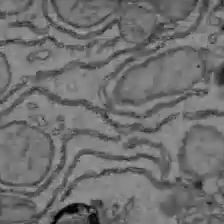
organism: C57BL Mouse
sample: Liver